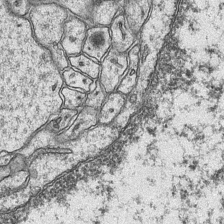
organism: Mouse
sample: CA1 Hippocampus